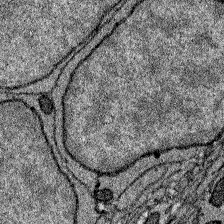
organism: Zebrafish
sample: Larval olfactory bulb